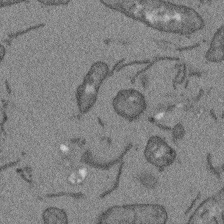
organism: Arabidopsis thaliana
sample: Root tip